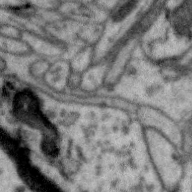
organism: Zebra finch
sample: Brain